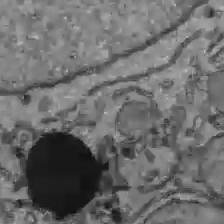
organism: C57BL Mouse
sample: Liver